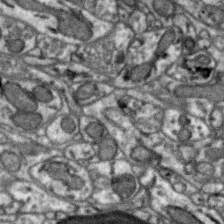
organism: Zebra finch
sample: Brain